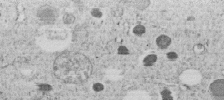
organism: C. elegans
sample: C. elegans embryo early stage